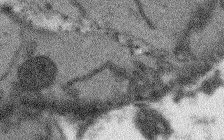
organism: Arabidopsis thaliana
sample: Root tip